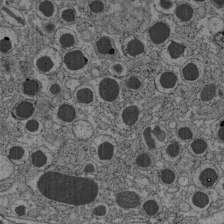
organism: C57BL Mouse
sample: Pancreatic islet